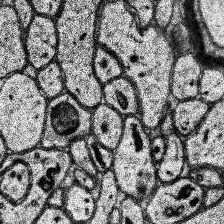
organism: Human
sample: Temporal Lobe